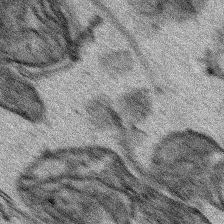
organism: Human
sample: Mitochondria in HCT116 cells